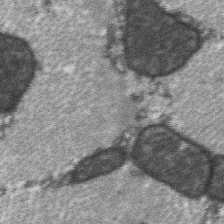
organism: C57BL Mouse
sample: Soleus